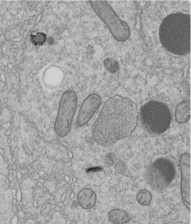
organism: C. elegans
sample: C. elegans embryo early stage